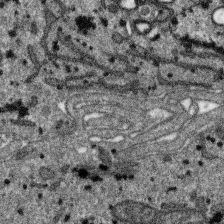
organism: Human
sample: Lung epithelial cells infected with SARS-CoV-2